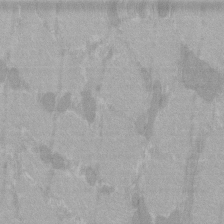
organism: C57BL Mouse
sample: Tibialis anterior muscle cell